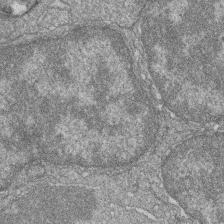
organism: Zebrafish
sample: Cilia; retinal pigment epithelium